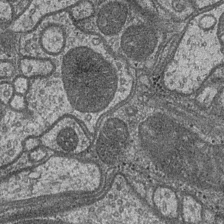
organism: Drosophila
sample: Optic medulla